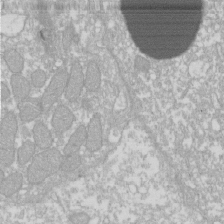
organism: Xenopus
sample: Cilia; centrioles in frog embryo cells